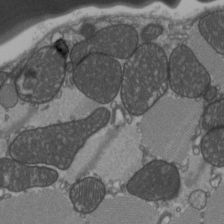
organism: C57BL Mouse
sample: Heart